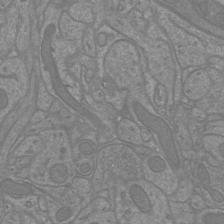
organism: Mouse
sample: Cortical neurons